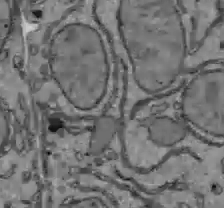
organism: C57BL Mouse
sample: Liver